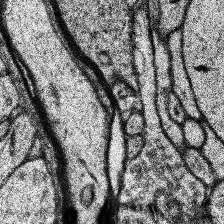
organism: Human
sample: Temporal Lobe